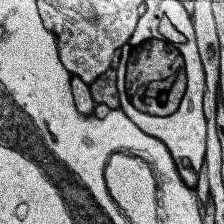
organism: Human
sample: Temporal Lobe